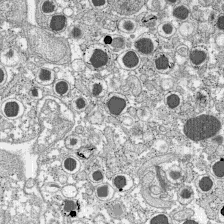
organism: C57BL Mouse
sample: Pancreatic islet